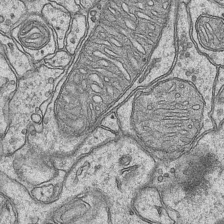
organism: Mouse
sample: CA1 Hippocampus